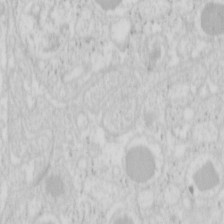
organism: Mouse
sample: Pancreas